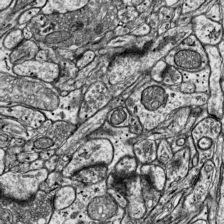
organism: Mouse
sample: Visual Cortex